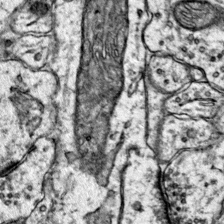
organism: Mouse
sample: Primary visual cortex